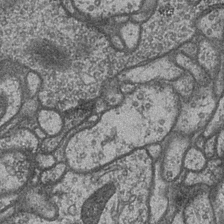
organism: Drosophila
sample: Optic medulla